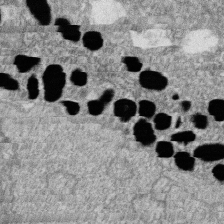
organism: Zebrafish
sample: Cilia; retinal pigment epithelium